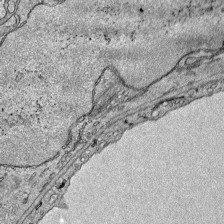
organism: Mouse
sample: Visual Cortex